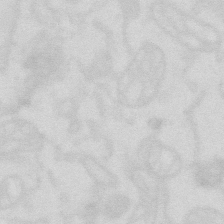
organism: Human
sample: HeLa cells